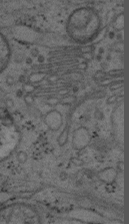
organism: Human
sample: HeLa cells